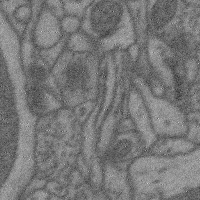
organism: Mouse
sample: Cerebral cortex